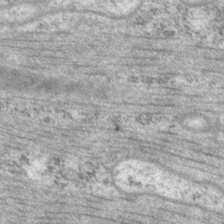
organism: P. pacificus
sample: Pharynx